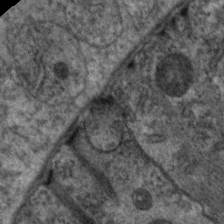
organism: C. elegans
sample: Pharynx